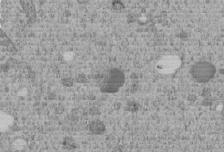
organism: C. elegans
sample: C. elegans embryo early stage